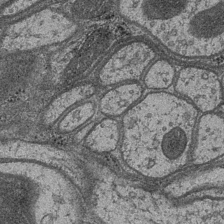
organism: Drosophila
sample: Optic medulla